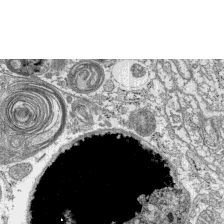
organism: C57BL Mouse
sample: Pancreatic islet